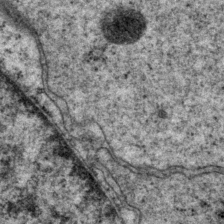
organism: P. pacificus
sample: Pharynx